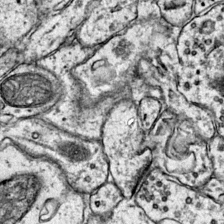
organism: Mouse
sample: Primary visual cortex